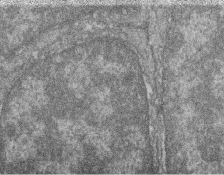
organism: Zebrafish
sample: Cilia; retinal pigment epithelium